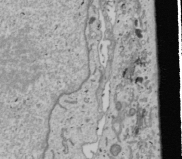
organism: Human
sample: Mitochondria in U2OS cells